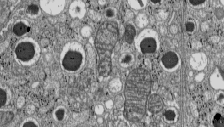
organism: C57BL Mouse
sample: Pancreatic islet